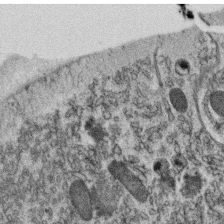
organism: C. elegans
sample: C. elegans oocyte; sperm cells